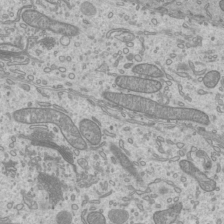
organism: Mouse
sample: Cilia; mouse epididymis